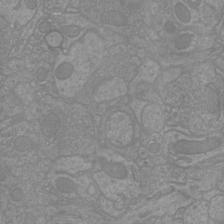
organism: Mouse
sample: Cortical neurons